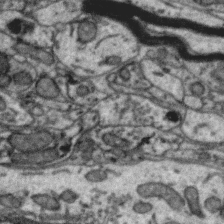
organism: Zebra finch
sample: Brain